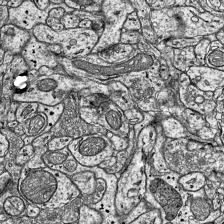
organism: Mouse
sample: Visual Cortex